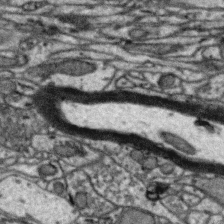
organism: Zebra finch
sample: Brain